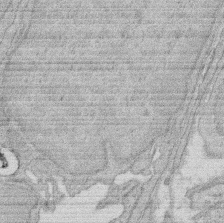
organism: Rat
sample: Salivary granule